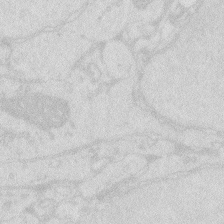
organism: Zebrafish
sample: Macrophage